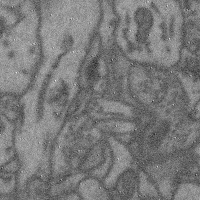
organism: Mouse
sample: Cerebral cortex